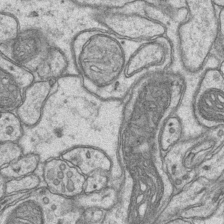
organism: Mouse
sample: CA1 Hippocampus